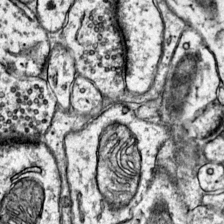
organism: Mouse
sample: Primary visual cortex